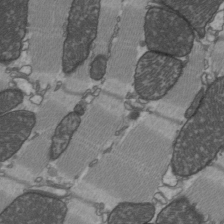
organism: C57BL Mouse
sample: Heart